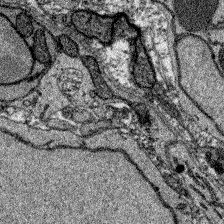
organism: Zebrafish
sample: Larval olfactory bulb